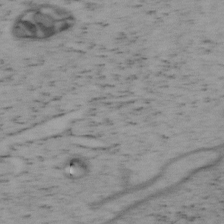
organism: Mouse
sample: OT-I killer T cells with ID8 ovarian cancer cells